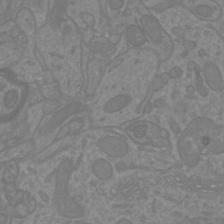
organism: Mouse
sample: Cortical neurons